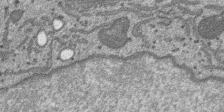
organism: Human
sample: Lung epithelial cells infected with SARS-CoV-2